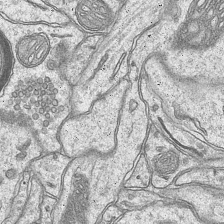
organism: Mouse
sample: CA1 Hippocampus